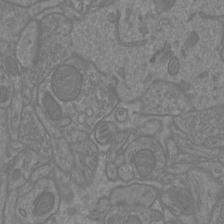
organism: Mouse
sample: Cortical neurons